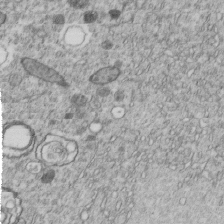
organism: C. elegans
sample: C. elegans embryo early stage